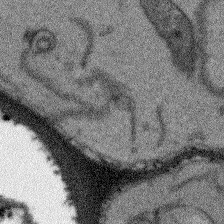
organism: Arabidopsis thaliana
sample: Root tip